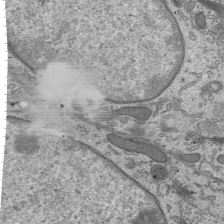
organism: Mouse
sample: Mouse epididymis efferent ductule cilia